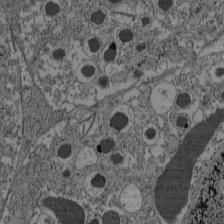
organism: C57BL Mouse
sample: Pancreatic islet